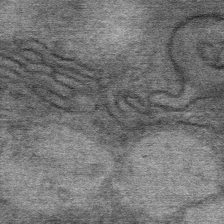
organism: Mouse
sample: Mouse Salivary gland